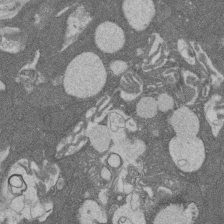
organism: Rat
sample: Salivary granule